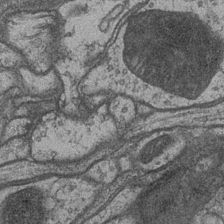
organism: Drosophila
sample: Optic medulla